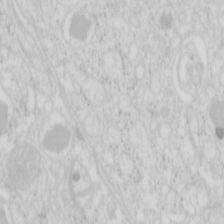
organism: Mouse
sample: Pancreas